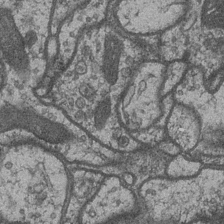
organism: Drosophila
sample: Optic medulla